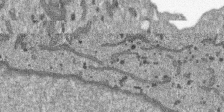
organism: Human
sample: Lung epithelial cells infected with SARS-CoV-2